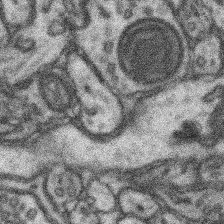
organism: Mouse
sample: Somatosensory cortex neuropil